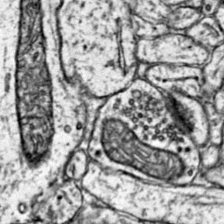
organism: Mouse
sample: Primary visual cortex